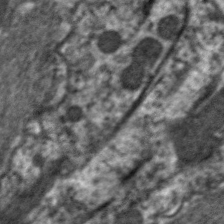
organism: C. elegans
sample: Pharynx